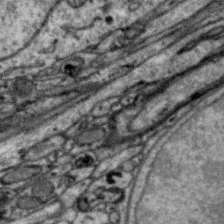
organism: Zebra finch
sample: Brain